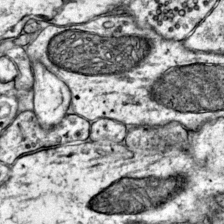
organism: Mouse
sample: Primary visual cortex